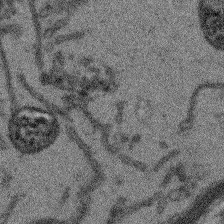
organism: Arabidopsis thaliana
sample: Root tip